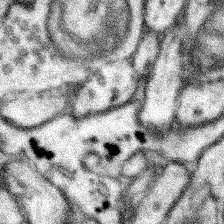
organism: Mouse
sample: Somatosensory cortex neuropil